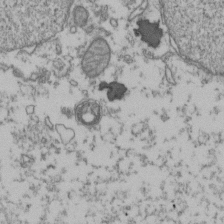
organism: Human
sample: Activated Jurkat CD4+ T cells